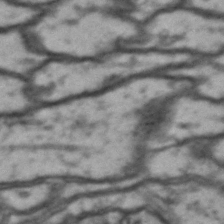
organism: Drosophila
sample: Brain